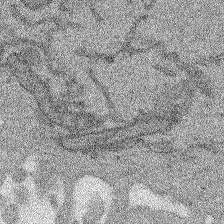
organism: Human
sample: HeLa cells